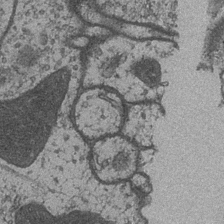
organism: Drosophila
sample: Optic medulla